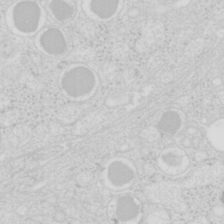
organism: Mouse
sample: Pancreas